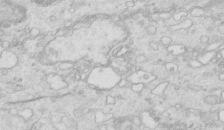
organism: Mouse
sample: Multiciliated cells